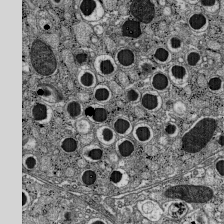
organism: C57BL Mouse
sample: Pancreatic islet